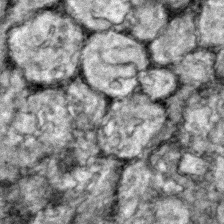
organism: Zebrafish